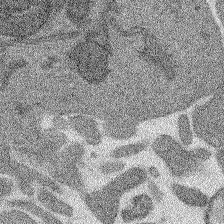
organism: Human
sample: HeLa cells